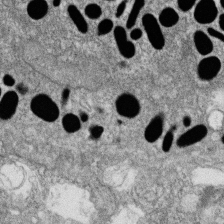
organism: Zebrafish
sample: Cilia; retinal pigment epithelium